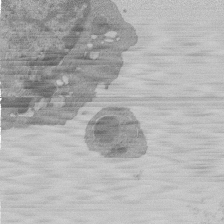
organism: Mouse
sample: Activated Pmel transgenic CD8+ T Cells